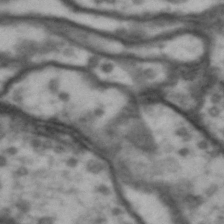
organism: Drosophila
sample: Brain